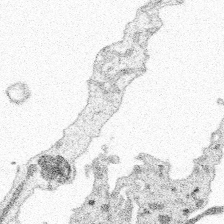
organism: Spongilla lacustris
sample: Multiple